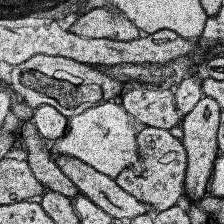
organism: Human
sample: Temporal Lobe